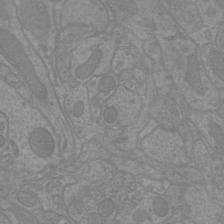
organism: Mouse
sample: Cortical neurons